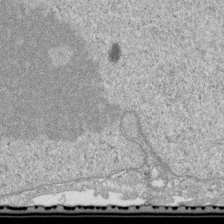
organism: Human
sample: HeLa cell HIV synapse